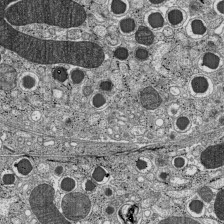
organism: C57BL Mouse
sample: Pancreatic islet